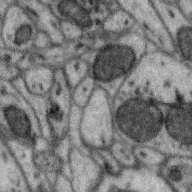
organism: Zebra finch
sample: Brain